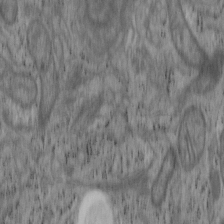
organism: Human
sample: HeLa cells